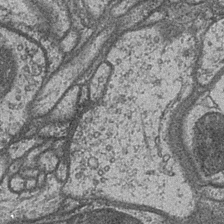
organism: Drosophila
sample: Optic medulla